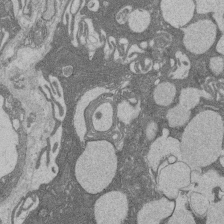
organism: Rat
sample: Salivary granule